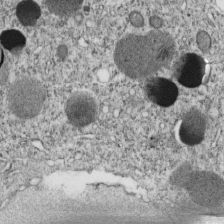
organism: C. elegans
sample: C. elegans embryo early stage